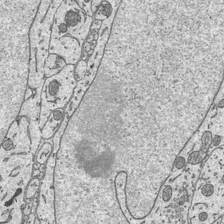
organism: Mouse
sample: Suprachiasmatic nucleus